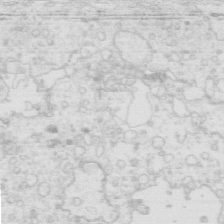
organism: Mouse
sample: Multiciliated cells